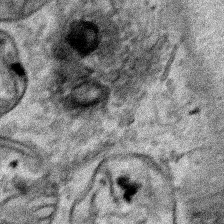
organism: Human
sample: Mitochondria in HCT116 cells